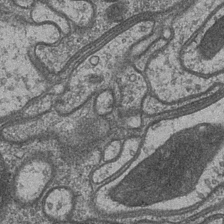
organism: Drosophila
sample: Optic medulla